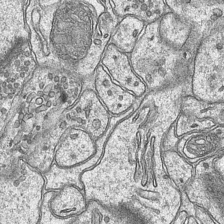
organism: Mouse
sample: CA1 Hippocampus